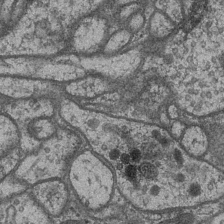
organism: Drosophila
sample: Optic medulla